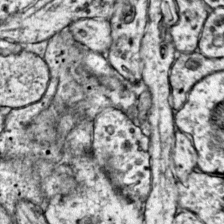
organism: Mouse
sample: Primary visual cortex